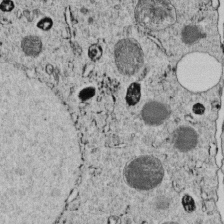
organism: C. elegans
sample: C. elegans embryo early stage